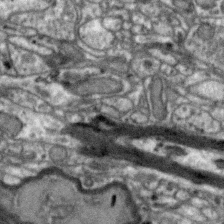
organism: Zebra finch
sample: Brain